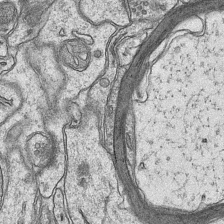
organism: Mouse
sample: CA1 Hippocampus